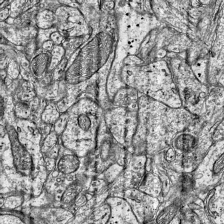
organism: Mouse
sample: Visual Cortex